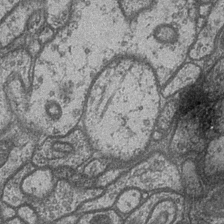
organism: Drosophila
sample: Optic medulla